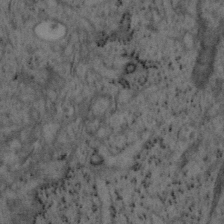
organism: Human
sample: HeLa cells